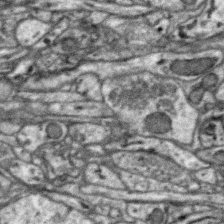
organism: Zebra finch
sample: Brain